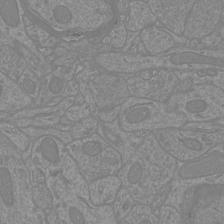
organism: Mouse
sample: Cortical neurons